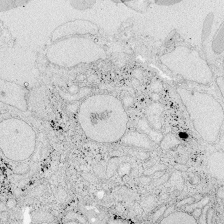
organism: Zebrafish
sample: Whole-Brain